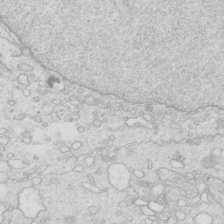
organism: Mouse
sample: Multiciliated cells